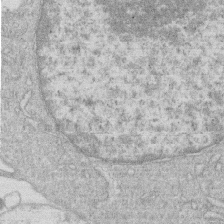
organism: Human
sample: Macrophage cells